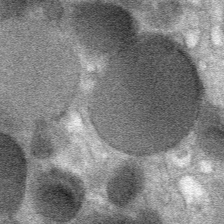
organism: Mouse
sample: Mouse Salivary gland